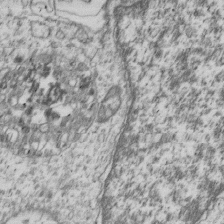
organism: Human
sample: MDA-MB-231 cells